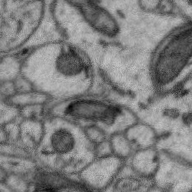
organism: Zebra finch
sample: Brain